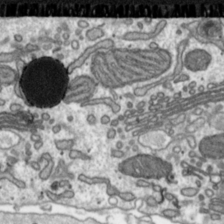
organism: Toxoplasma gondii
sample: Parasites in a vacuole inside a host cell